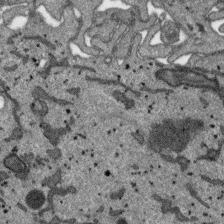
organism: Human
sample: Lung epithelial cells, uninfected (mock) control